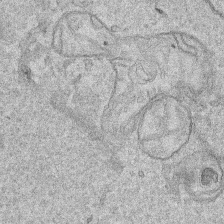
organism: Human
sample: Mitochondria in HCT116 cells